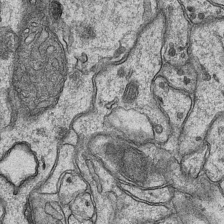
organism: Mouse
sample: CA1 Hippocampus